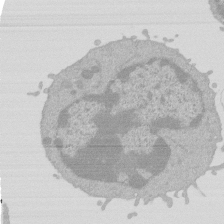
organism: Mouse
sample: Activated Pmel transgenic CD8+ T Cells